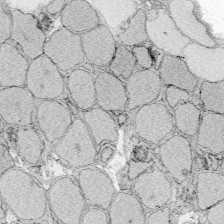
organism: Zebrafish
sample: Whole-Brain